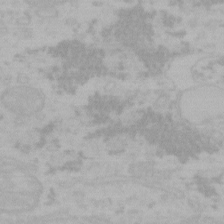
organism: Mouse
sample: Choroid plexus